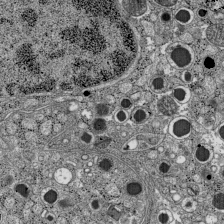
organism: C57BL Mouse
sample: Pancreatic islet